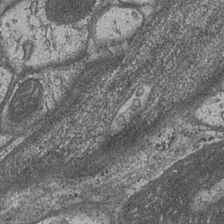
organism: Drosophila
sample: Optic medulla